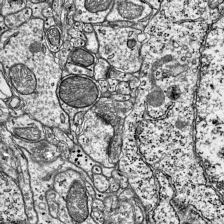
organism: Mouse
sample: Visual Cortex